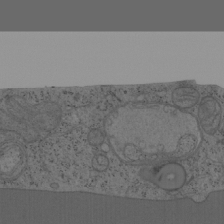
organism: Human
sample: HeLa cells